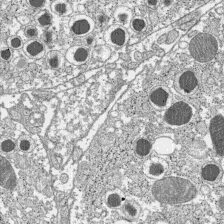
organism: C57BL Mouse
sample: Pancreatic islet